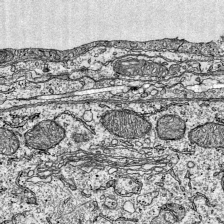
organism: Mouse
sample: Visual Cortex